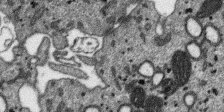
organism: Human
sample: Lung epithelial cells infected with SARS-CoV-2